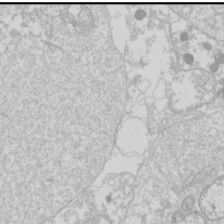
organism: Drosophila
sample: Cell division; meiosis; drosophila spermatocytes